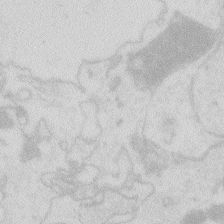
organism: Zebrafish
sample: Macrophage